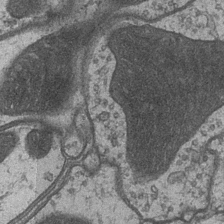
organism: Drosophila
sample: Optic medulla